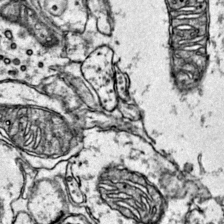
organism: Mouse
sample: Primary visual cortex